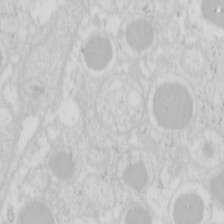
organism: Mouse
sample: Pancreas